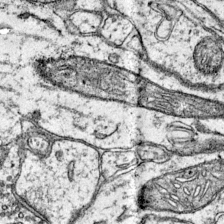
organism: Mouse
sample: Primary visual cortex